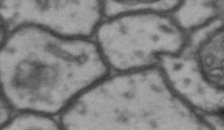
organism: Drosophila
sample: Brain